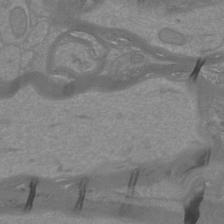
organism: Mouse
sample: Cortical neurons